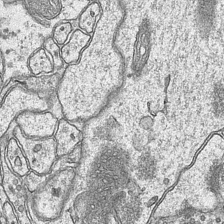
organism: Mouse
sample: CA1 Hippocampus